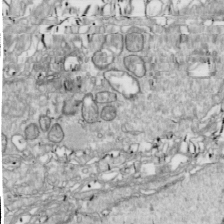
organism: Drosophila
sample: Cell division; meiosis; drosophila spermatocytes